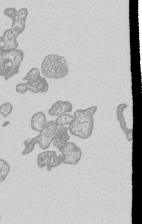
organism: Human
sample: MDA-MB-231 cells